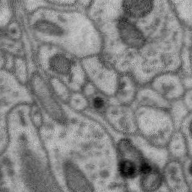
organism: Zebra finch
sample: Brain